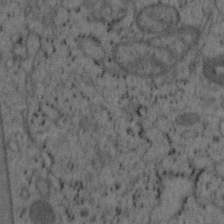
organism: Human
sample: HeLa cells